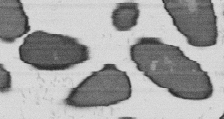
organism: B. subtilis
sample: Bacterial spore